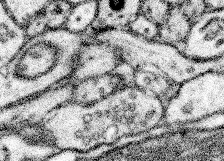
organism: Mouse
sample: Somatosensory cortex neuropil